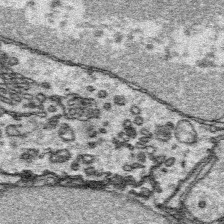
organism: Platynereis dumerilii